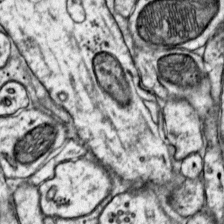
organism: Mouse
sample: Primary visual cortex